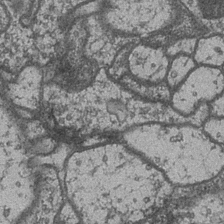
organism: Drosophila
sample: Optic medulla